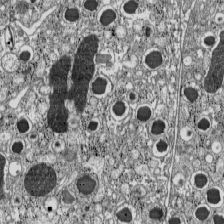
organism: C57BL Mouse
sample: Pancreatic islet